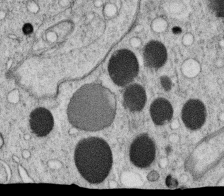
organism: C. elegans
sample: C. elegans oocyte; sperm cells